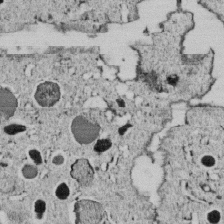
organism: C. elegans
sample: C. elegans embryo early stage